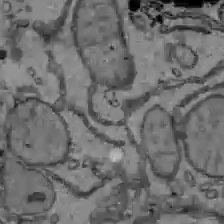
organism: C57BL Mouse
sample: Liver